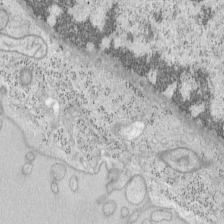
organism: Mouse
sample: OT-I killer T cells with ID8 ovarian cancer cells